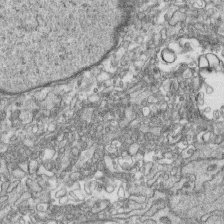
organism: Human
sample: CRL-1474